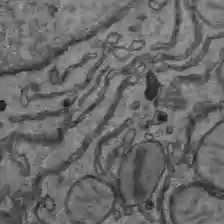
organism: C57BL Mouse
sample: Liver